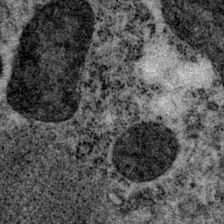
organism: P. pacificus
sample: Pharynx